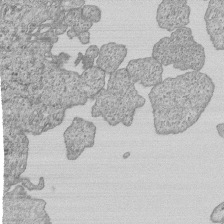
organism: Human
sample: MDA-MB-231 cells